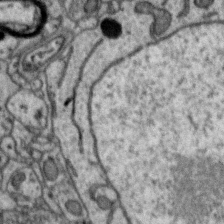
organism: Zebra finch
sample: Brain